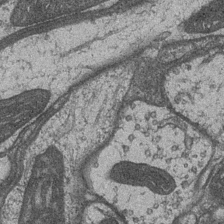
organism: Drosophila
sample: Optic medulla